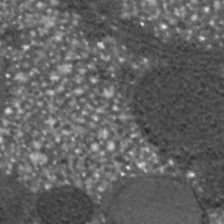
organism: C. elegans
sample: C. elegans embryo